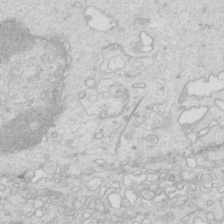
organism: Mouse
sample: Multiciliated cells